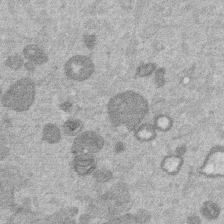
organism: Mouse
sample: Dividing mouse embryo 1 cell stage